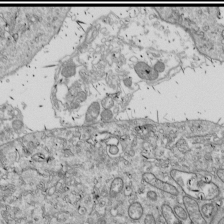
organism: Drosophila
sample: Cell division; meiosis; drosophila spermatocytes